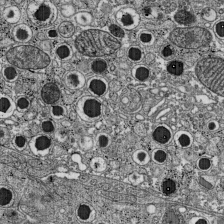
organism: C57BL Mouse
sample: Pancreatic islet